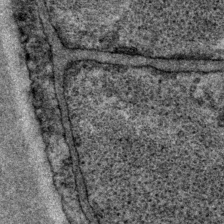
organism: P. pacificus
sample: Pharynx